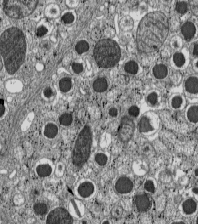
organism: C57BL Mouse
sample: Pancreatic islet